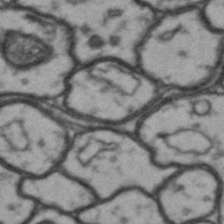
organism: Drosophila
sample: Brain